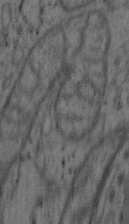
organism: Human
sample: HeLa cells